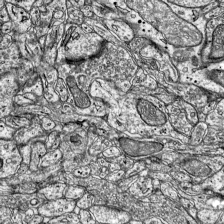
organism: Mouse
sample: Visual Cortex